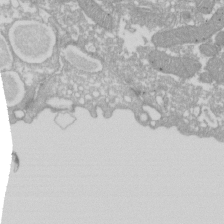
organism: Xenopus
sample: Cilia; centrioles in frog embryo cells